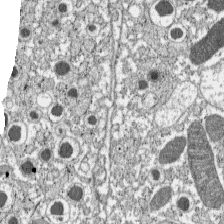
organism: C57BL Mouse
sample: Pancreatic islet